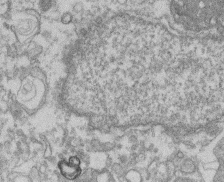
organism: Mouse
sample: T cell stromal cell synapse